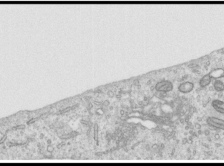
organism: Human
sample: Centriole in RPE cells